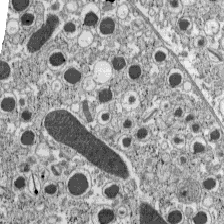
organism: C57BL Mouse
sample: Pancreatic islet